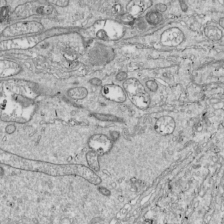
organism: Drosophila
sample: Cell division; meiosis; drosophila spermatocytes